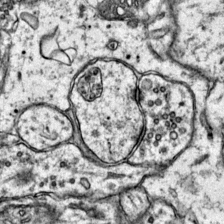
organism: Mouse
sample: Primary visual cortex